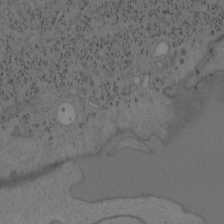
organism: Mouse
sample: OT-I killer T cells with ID8 ovarian cancer cells